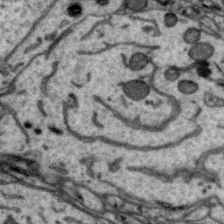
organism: Zebra finch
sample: Brain